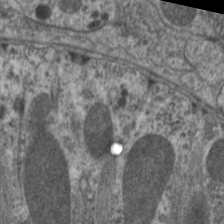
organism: C. elegans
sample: Pharynx